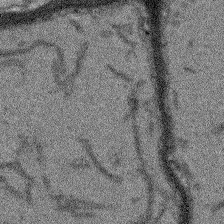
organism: Arabidopsis thaliana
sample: Root tip